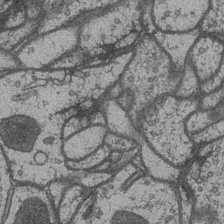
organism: Drosophila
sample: Optic medulla